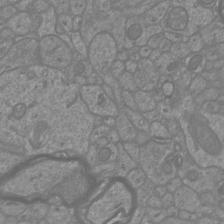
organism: Mouse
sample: Cortical neurons